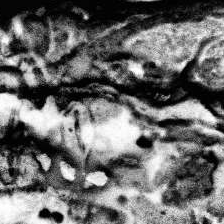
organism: Human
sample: Temporal Lobe